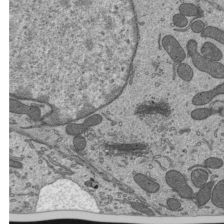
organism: Mouse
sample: Mouse epididymis efferent ductule cilia